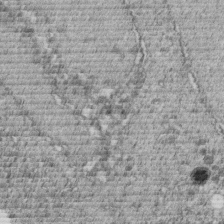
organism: C. elegans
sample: C. elegans embryo early stage